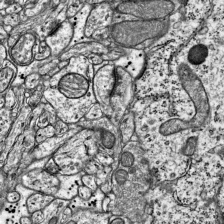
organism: Mouse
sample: Visual Cortex